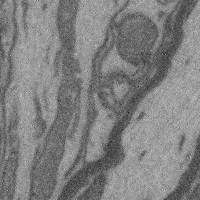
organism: Mouse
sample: Cerebral cortex